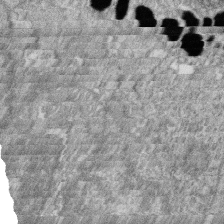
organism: Zebrafish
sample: Cilia; retinal pigment epithelium